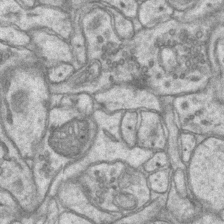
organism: Mouse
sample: CA1 Hippocampus